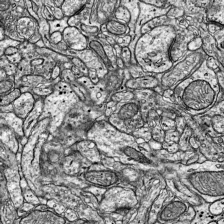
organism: Mouse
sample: Visual Cortex